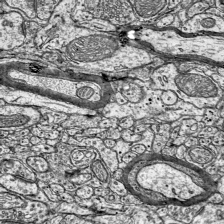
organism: Mouse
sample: Visual Cortex